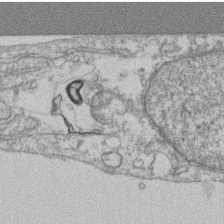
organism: Mouse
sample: T cell stromal cell synapse